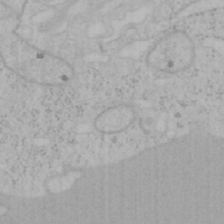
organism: Mouse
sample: OT-I killer T cells with ID8 ovarian cancer cells